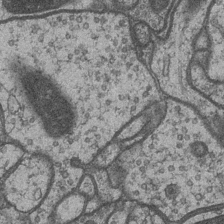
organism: Drosophila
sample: Optic medulla